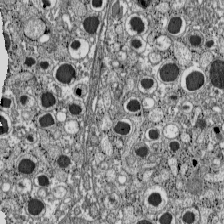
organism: C57BL Mouse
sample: Pancreatic islet